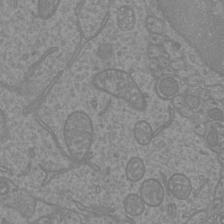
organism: Mouse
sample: Cortical neurons